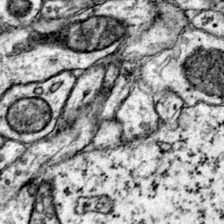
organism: Mouse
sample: Primary visual cortex